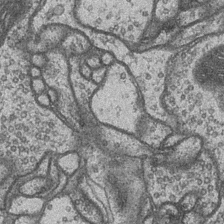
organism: Drosophila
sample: Optic medulla